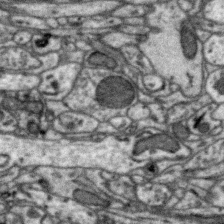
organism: Zebra finch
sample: Brain